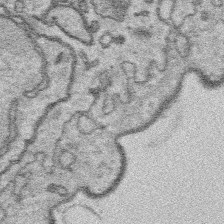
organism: Platynereis dumerilii